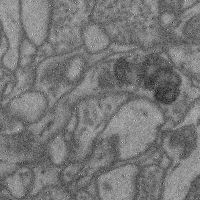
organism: Mouse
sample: Cerebral cortex